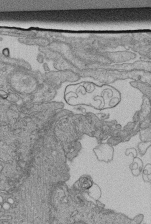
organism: Human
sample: Retinal organoid Rod and Cone cells